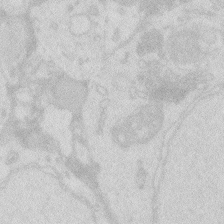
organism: Zebrafish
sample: Macrophage